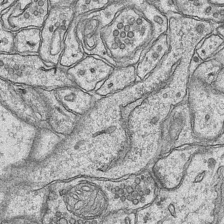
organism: Mouse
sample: CA1 Hippocampus